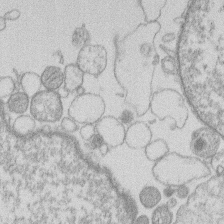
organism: Human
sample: Macrophage cells